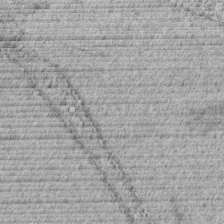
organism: C. elegans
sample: C. elegans embryo early stage